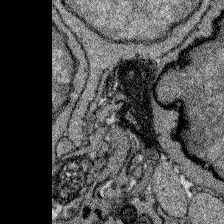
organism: Zebrafish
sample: Larval olfactory bulb